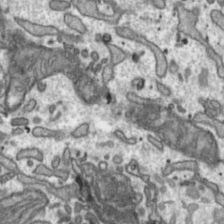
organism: Toxoplasma gondii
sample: Parasites in a vacuole inside a host cell